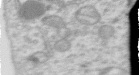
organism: Human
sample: Centriole in RPE cells